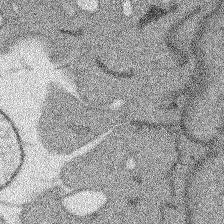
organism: Human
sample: HeLa cells